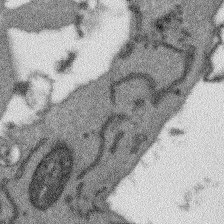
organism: Arabidopsis thaliana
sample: Root tip